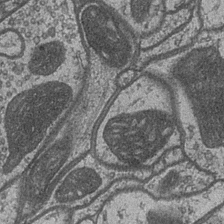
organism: Drosophila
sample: Optic medulla